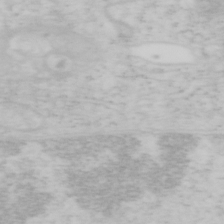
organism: Mouse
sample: OT-I killer T cells with ID8 ovarian cancer cells